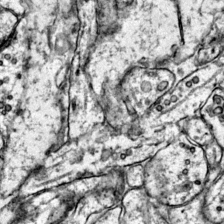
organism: Mouse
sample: Primary visual cortex